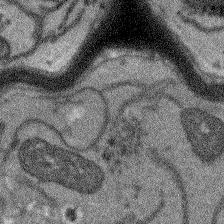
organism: Arabidopsis thaliana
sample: Root tip